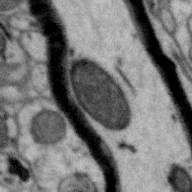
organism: Zebra finch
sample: Brain